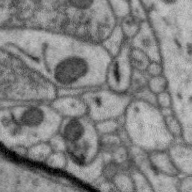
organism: Zebra finch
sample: Brain